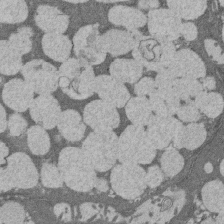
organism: Rat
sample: Salivary granule